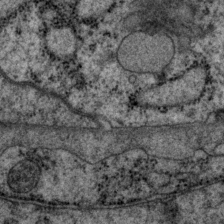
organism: P. pacificus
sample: Pharynx